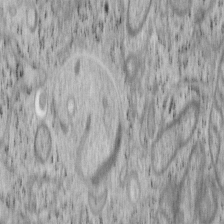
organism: Human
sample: HeLa cells